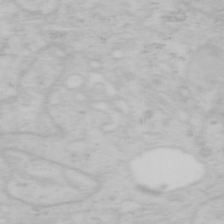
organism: Mouse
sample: OT-I killer T cells with ID8 ovarian cancer cells